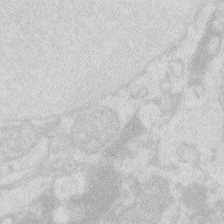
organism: Zebrafish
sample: Macrophage